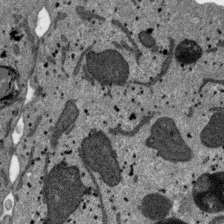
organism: Human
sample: Lung epithelial cells, uninfected (mock) control